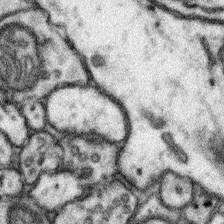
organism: Mouse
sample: Somatosensory cortex neuropil